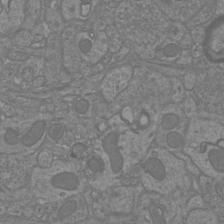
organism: Mouse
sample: Cortical neurons